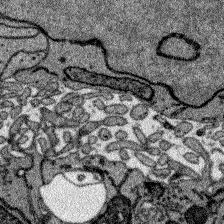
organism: Zebrafish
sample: Larval olfactory bulb